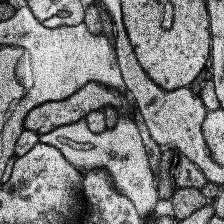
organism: Human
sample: Temporal Lobe